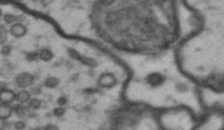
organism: Drosophila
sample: Brain